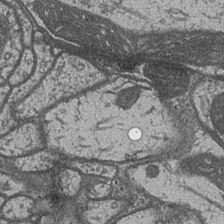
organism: Drosophila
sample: Optic medulla